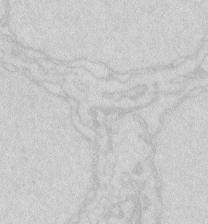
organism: Zebrafish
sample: Macrophage